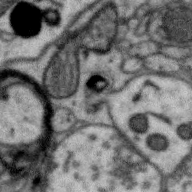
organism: Zebra finch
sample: Brain